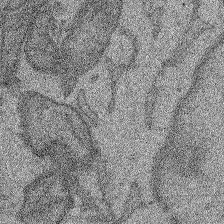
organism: Human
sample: HeLa cells